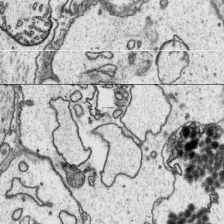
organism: Platynereis dumerilii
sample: Parapodia